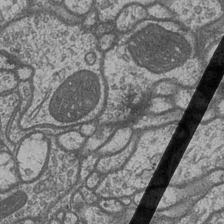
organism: Drosophila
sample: Optic medulla